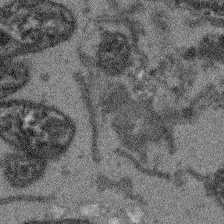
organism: Arabidopsis thaliana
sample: Root tip